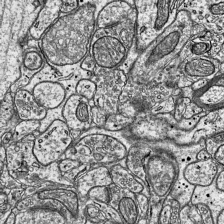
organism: Mouse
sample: Visual Cortex